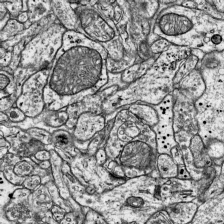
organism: Mouse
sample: Visual Cortex